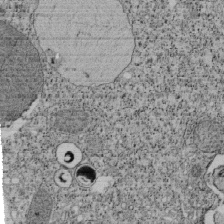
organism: Tetrahymena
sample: Cilia in tetrahymena